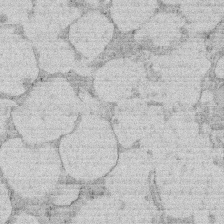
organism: Rat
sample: Salivary granule